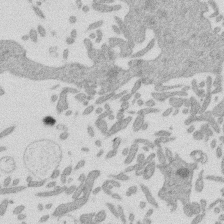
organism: Mouse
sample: Dividing mouse embryo 1 cell stage